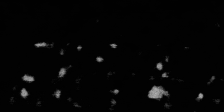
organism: Human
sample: Lung epithelial cells, uninfected (mock) control